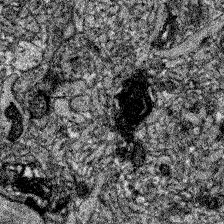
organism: Zebrafish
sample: Larval olfactory bulb